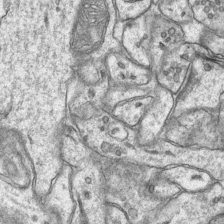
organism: Mouse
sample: CA1 Hippocampus